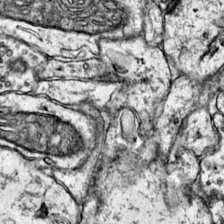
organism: Mouse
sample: Primary visual cortex